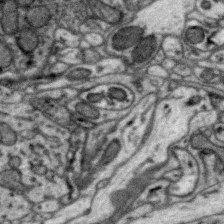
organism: Zebra finch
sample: Brain